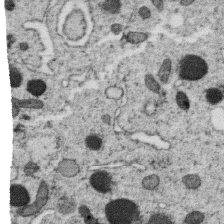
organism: C. elegans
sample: C. elegans oocyte; sperm cells